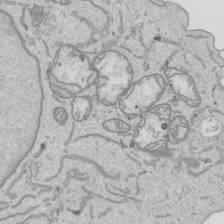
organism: Human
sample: Mitochondria in HCT116 cells